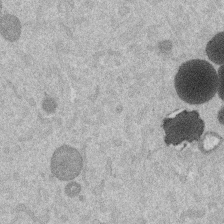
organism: Mouse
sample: Dividing mouse embryo 1 cell stage